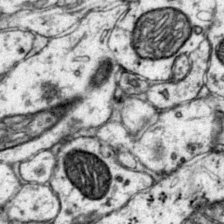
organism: Mouse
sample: Primary visual cortex